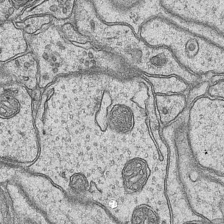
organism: Mouse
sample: CA1 Hippocampus